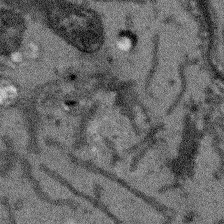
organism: Arabidopsis thaliana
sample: Root tip